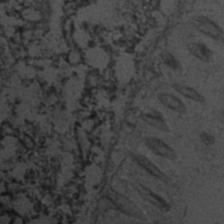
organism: C. elegans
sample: C. elegans embryo